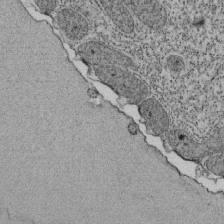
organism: Tetrahymena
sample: Cilia in tetrahymena